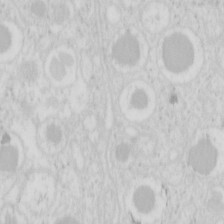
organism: Mouse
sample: Pancreas